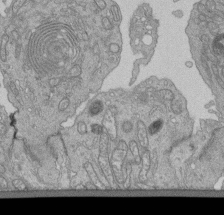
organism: Human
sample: Retinal organoid Rod and Cone cells